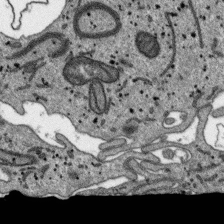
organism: Human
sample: Lung epithelial cells, uninfected (mock) control